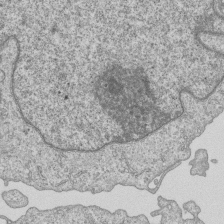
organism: Human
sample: MDA-MB-231 cells